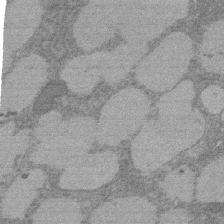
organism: Rat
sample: Salivary granule